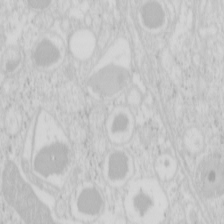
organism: Mouse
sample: Pancreas